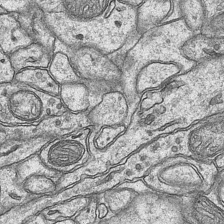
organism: Mouse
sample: CA1 Hippocampus